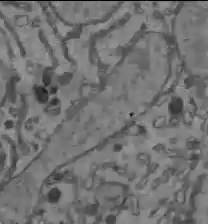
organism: C57BL Mouse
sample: Liver